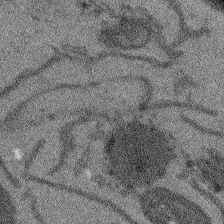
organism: Arabidopsis thaliana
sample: Root tip